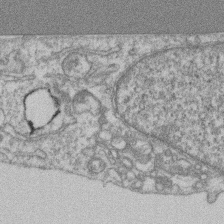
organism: Mouse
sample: T cell stromal cell synapse